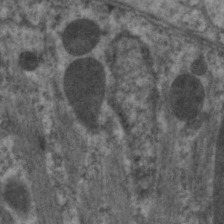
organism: C. elegans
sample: Pharynx